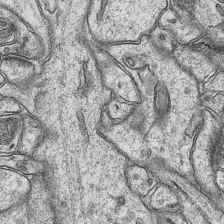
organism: Mouse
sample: CA1 Hippocampus